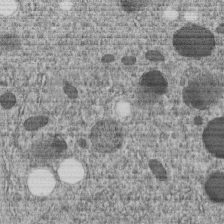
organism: C. elegans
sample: C. elegans embryo early stage